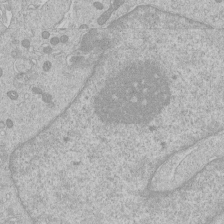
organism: Human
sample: Macrophage cells